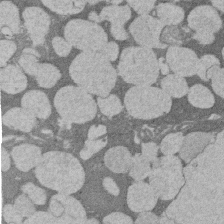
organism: Rat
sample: Salivary granule